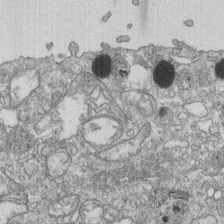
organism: Human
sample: HeLa cell HIV synapse